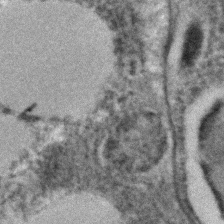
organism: C. elegans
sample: C. elegans embryo